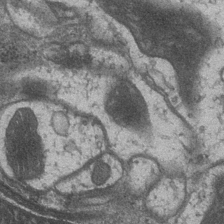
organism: Drosophila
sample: Optic medulla